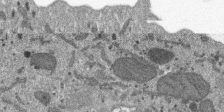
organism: Human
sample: Lung epithelial cells infected with SARS-CoV-2